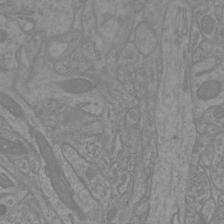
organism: Mouse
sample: Cortical neurons